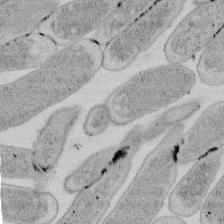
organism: E. coli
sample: Bacterial nucleoid